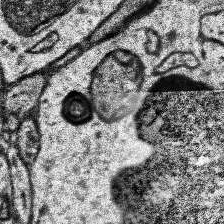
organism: Human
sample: Temporal Lobe